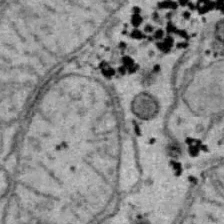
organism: Mouse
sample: Liver from an obese (ob/ob) mouse